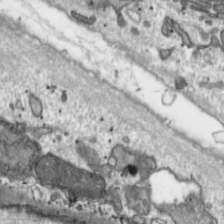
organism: Toxoplasma gondii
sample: Parasites in a vacuole inside a host cell